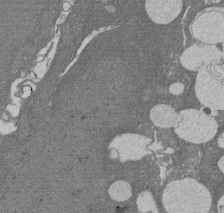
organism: Rat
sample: Salivary granule